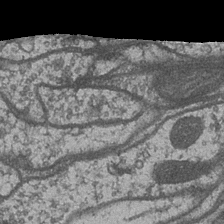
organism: Drosophila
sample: Optic medulla